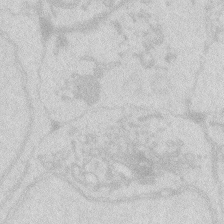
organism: Zebrafish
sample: Macrophage